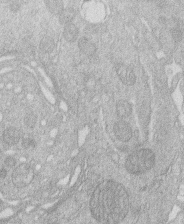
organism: Human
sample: Macrophage cells